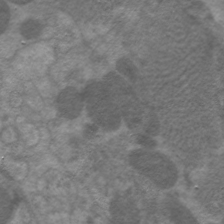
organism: C. elegans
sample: Pharynx